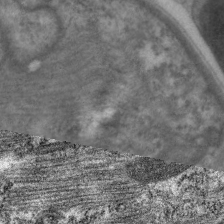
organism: C. elegans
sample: Pharynx